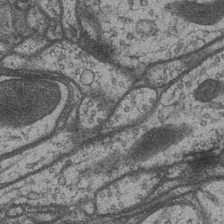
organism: Drosophila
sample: Optic medulla